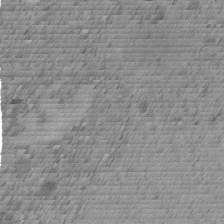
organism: C. elegans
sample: C. elegans embryo early stage